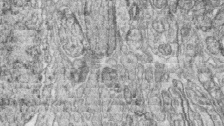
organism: Zebrafish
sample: synaptic ribbons in rod cells and cone cells